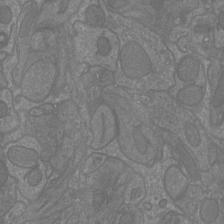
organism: Mouse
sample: Cortical neurons